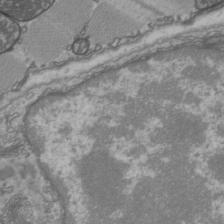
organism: C57BL Mouse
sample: Heart